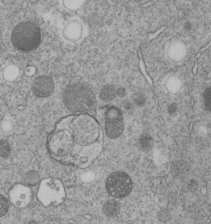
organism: C. elegans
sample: C. elegans embryo early stage